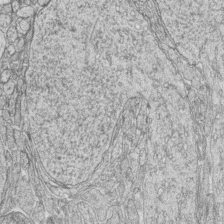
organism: Zebrafish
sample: synaptic ribbons in rod cells and cone cells